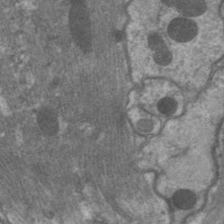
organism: C. elegans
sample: Pharynx